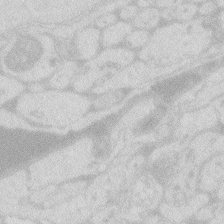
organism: Zebrafish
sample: Macrophage